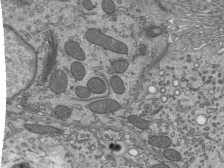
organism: Mouse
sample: Mouse epididymis efferent ductule cilia